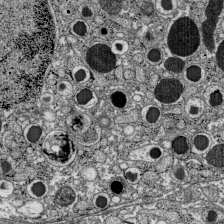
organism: C57BL Mouse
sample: Pancreatic islet